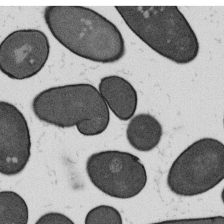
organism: B. subtilis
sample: Bacterial spore